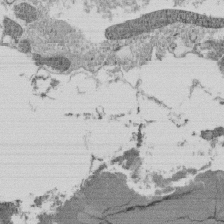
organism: Tetrahymena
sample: Cilia in tetrahymena